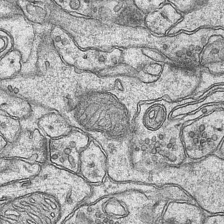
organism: Mouse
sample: CA1 Hippocampus